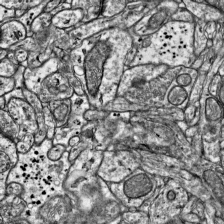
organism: Mouse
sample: Visual Cortex